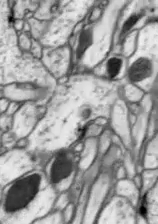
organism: Drosophila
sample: Optic lobe